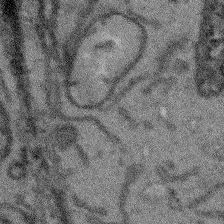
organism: Arabidopsis thaliana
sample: Root tip